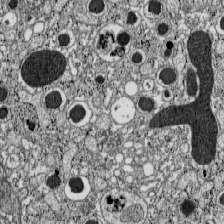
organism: C57BL Mouse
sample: Pancreatic islet